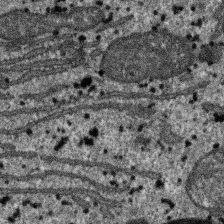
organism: Human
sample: Lung epithelial cells infected with SARS-CoV-2